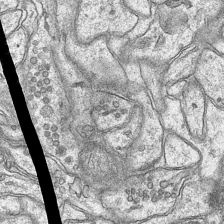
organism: Mouse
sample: CA1 Hippocampus